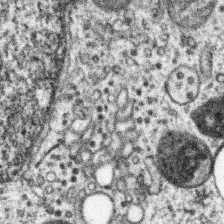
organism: Human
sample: HeLa cells